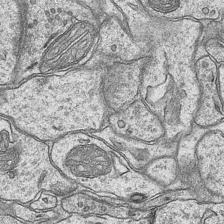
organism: Mouse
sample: CA1 Hippocampus